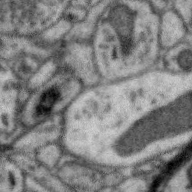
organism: Zebra finch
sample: Brain